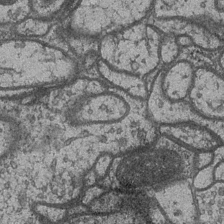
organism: Drosophila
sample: Optic medulla